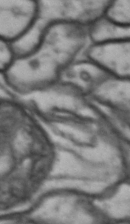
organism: Drosophila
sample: Brain